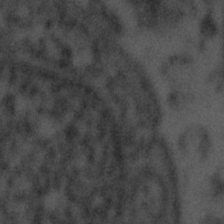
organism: Tuwongella immobilis